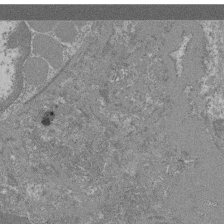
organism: Mouse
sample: Glomerulus